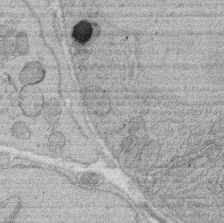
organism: Rat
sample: Salivary granule